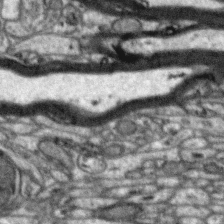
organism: Zebra finch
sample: Brain